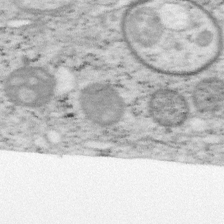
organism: Mouse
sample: OT-I killer T cells with ID8 ovarian cancer cells